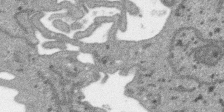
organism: Human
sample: Lung epithelial cells infected with SARS-CoV-2